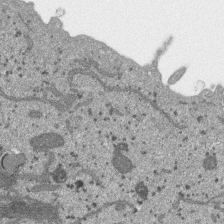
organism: Human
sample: Lung epithelial cells infected with SARS-CoV-2